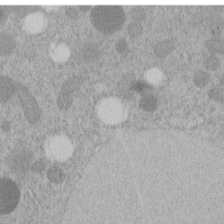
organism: C. elegans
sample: C. elegans embryo early stage